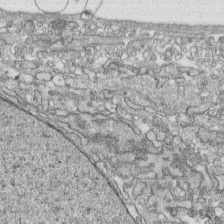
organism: Human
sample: CRL-1474